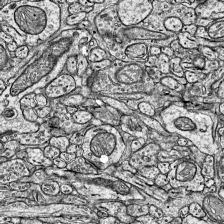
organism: Mouse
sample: Visual Cortex